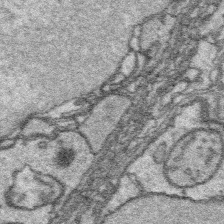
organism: Platynereis dumerilii